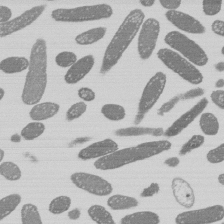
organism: E. coli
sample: Bacterial nucleoid